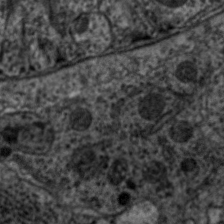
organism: C. elegans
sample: Pharynx